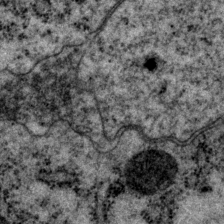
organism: P. pacificus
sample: Pharynx